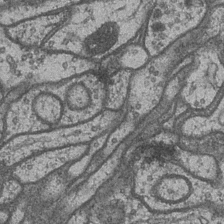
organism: Drosophila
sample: Optic medulla